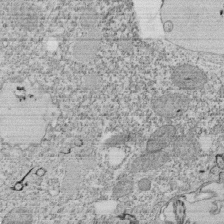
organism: Tetrahymena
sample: Cilia in tetrahymena